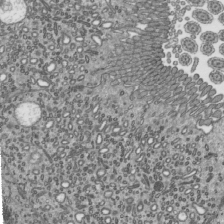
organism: Mouse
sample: Mouse epididymis efferent ductule cilia